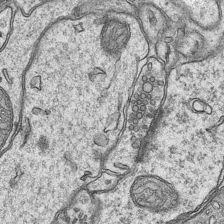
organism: Mouse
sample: CA1 Hippocampus